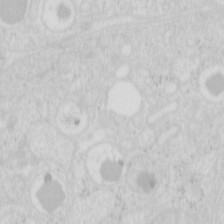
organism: Mouse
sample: Pancreas